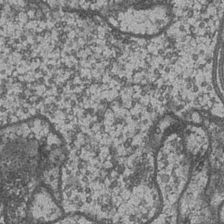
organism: Drosophila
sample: Optic medulla